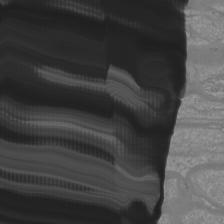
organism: Mouse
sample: Cortical neurons